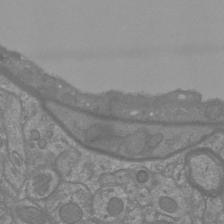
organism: Mouse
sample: Cortical neurons